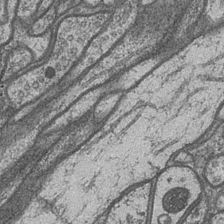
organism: Drosophila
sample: Optic medulla